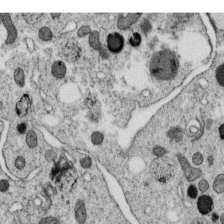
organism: C. elegans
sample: C. elegans oocyte; sperm cells